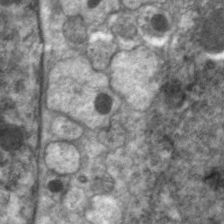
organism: C. elegans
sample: Pharynx